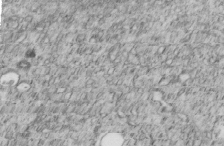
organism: C. elegans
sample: C. elegans embryo early stage